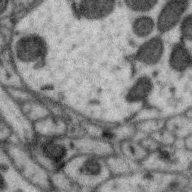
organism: Zebra finch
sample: Brain